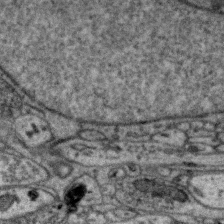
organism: Zebra finch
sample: Brain